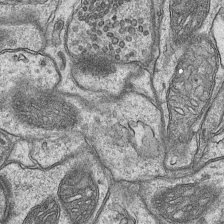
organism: Mouse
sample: CA1 Hippocampus